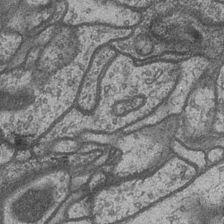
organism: Drosophila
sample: Optic medulla